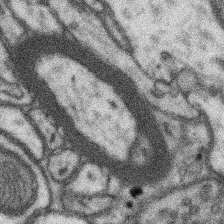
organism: Mouse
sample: Somatosensory cortex neuropil